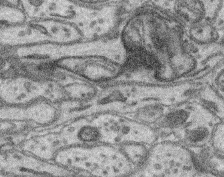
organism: Mouse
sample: Retina